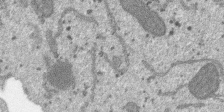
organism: Human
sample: Lung epithelial cells infected with SARS-CoV-2